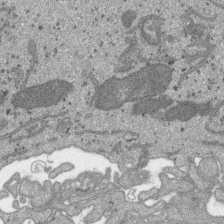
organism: Human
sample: Lung epithelial cells infected with SARS-CoV-2